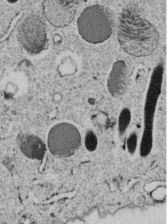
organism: C. elegans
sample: C. elegans embryo early stage